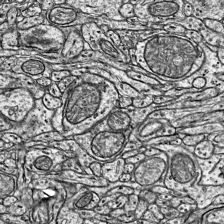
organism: Mouse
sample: Visual Cortex